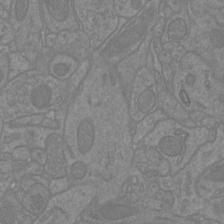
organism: Mouse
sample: Cortical neurons